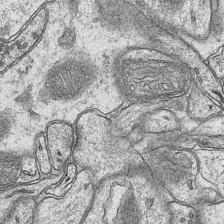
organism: Mouse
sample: CA1 Hippocampus